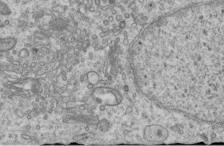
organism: Human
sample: Centriole in RPE cells